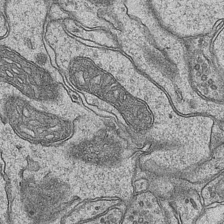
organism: Mouse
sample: CA1 Hippocampus